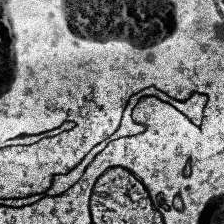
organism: Human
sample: Temporal Lobe